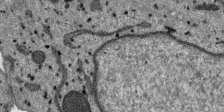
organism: Human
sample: Lung epithelial cells, uninfected (mock) control